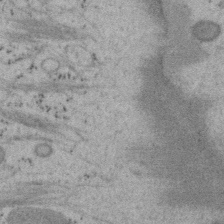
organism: Human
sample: HeLa cells